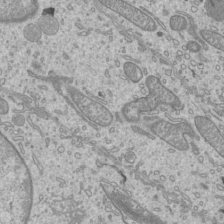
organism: Mouse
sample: Cilia; mouse epididymis